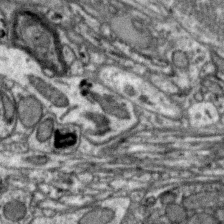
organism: Zebra finch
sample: Brain